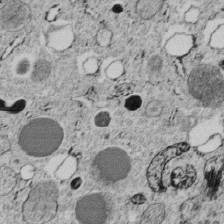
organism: C. elegans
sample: C. elegans embryo early stage